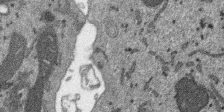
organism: Human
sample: Lung epithelial cells infected with SARS-CoV-2